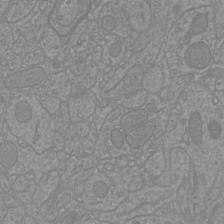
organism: Mouse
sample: Cortical neurons